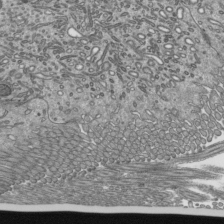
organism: Mouse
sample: Mouse epididymis efferent ductule cilia